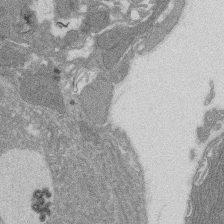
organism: Rat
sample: Salivary granule